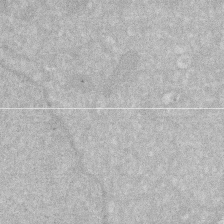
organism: Human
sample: HIV infected U937 cells